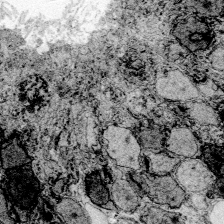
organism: Zebrafish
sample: Whole-Brain